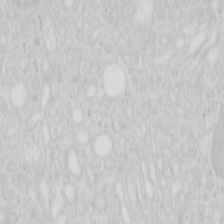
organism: Mouse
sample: Pancreas